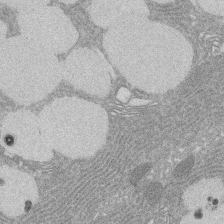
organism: Rat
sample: Salivary granule